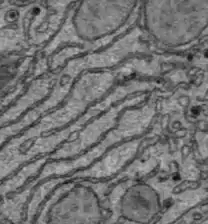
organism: C57BL Mouse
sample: Liver